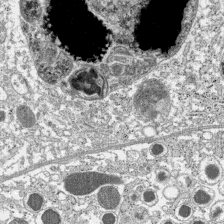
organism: C57BL Mouse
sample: Pancreatic islet